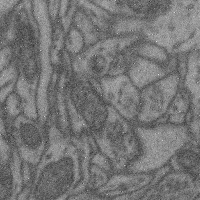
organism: Mouse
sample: Cerebral cortex